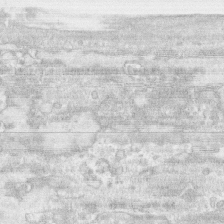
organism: Human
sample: CRL-1474